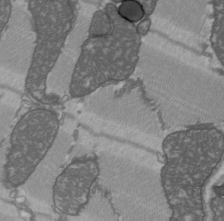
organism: C57BL Mouse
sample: Heart